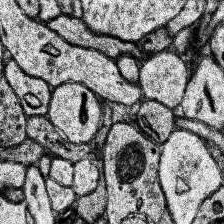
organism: Human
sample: Temporal Lobe